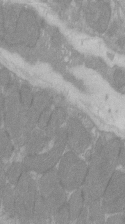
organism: C57BL Mouse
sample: Tibialis anterior muscle cell